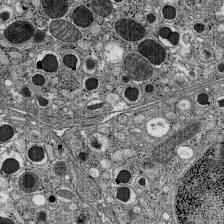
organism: C57BL Mouse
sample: Pancreatic islet